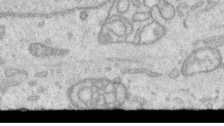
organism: Human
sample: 1205lu cells